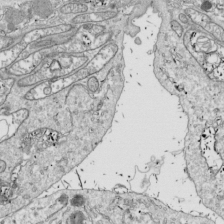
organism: Drosophila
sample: Cell division; meiosis; drosophila spermatocytes